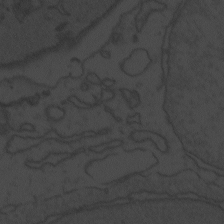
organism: Zebrafish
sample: Macrophage infected with Toxoplasma gondii